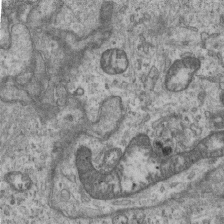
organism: Mouse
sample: Centriole in ependymal cells